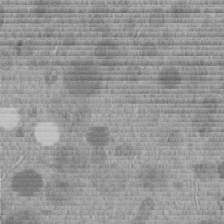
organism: C. elegans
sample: C. elegans embryo early stage